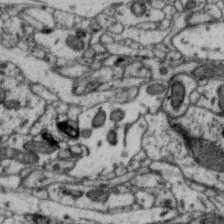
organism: Zebra finch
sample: Brain